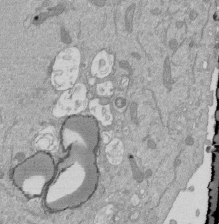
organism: Mouse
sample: ED-1 cell nuclei; centrioles